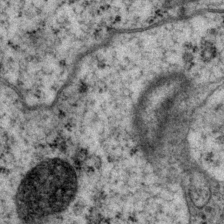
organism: P. pacificus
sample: Pharynx